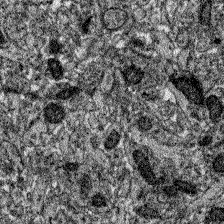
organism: Zebrafish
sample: Larval olfactory bulb